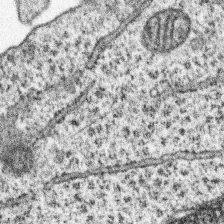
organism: Human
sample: HeLa cells